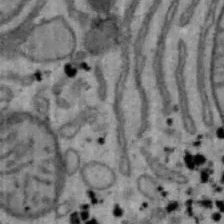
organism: Mouse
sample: Liver